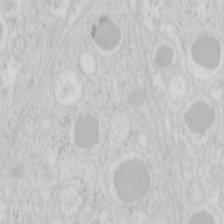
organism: Mouse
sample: Pancreas